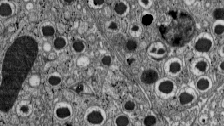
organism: C57BL Mouse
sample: Pancreatic islet